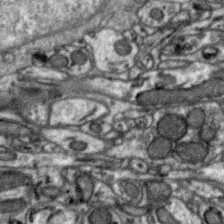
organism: Zebra finch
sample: Brain